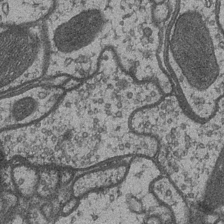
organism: Drosophila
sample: Optic medulla